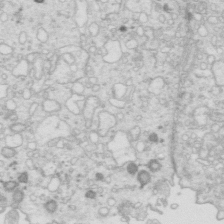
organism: Mouse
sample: Multiciliated cells